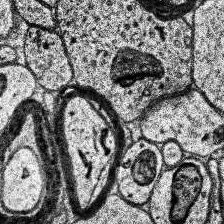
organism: Human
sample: Temporal Lobe